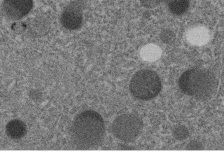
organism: C. elegans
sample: C. elegans embryo early stage